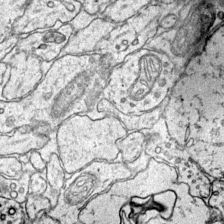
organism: Mouse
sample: Primary visual cortex